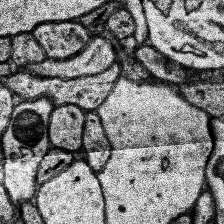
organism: Human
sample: Temporal Lobe